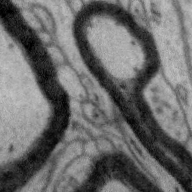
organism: Zebra finch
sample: Brain